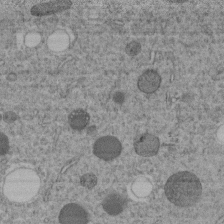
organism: C. elegans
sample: C. elegans embryo early stage